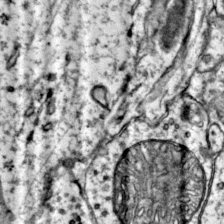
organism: Mouse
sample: Primary visual cortex